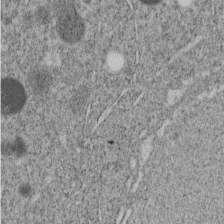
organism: C. elegans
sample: C. elegans embryo early stage